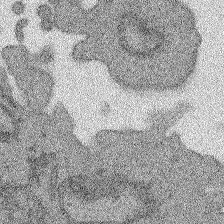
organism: Human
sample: HeLa cells